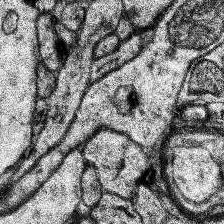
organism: Human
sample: Temporal Lobe